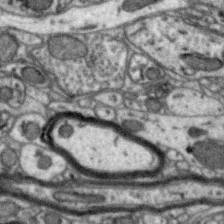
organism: Zebra finch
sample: Brain